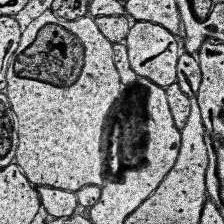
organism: Human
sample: Temporal Lobe